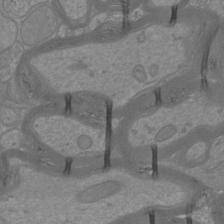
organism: Mouse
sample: Cortical neurons